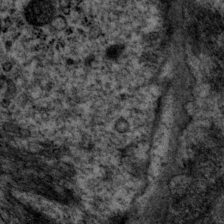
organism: P. pacificus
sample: Pharynx